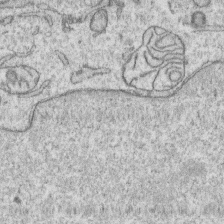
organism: Human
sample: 1205lu cells